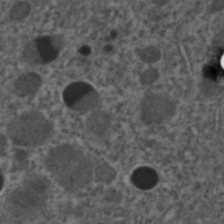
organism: C. elegans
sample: C. elegans embryo